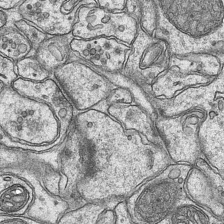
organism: Mouse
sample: CA1 Hippocampus